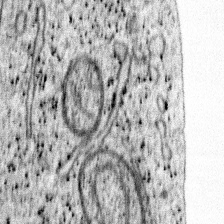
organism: Human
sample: HeLa cells